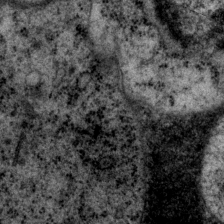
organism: P. pacificus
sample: Pharynx